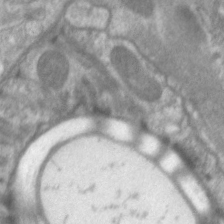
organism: C. elegans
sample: Pharynx